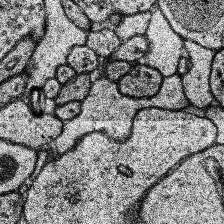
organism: Human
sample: Temporal Lobe